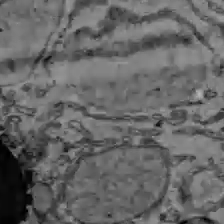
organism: C57BL Mouse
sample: Liver